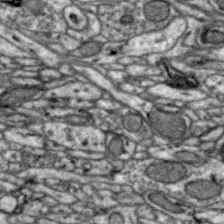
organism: Zebra finch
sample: Brain